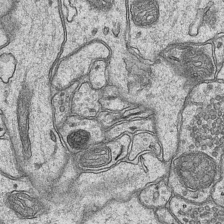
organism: Mouse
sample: CA1 Hippocampus